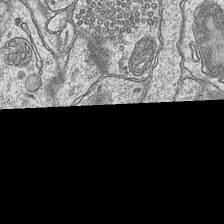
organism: Mouse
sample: CA1 Hippocampus